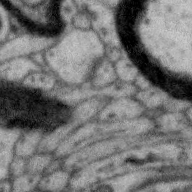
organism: Zebra finch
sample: Brain